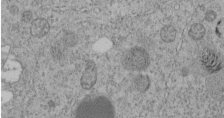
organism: C. elegans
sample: C. elegans embryo early stage